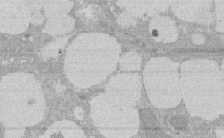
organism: Rat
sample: Salivary granule